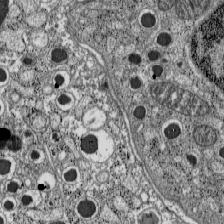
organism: C57BL Mouse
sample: Pancreatic islet